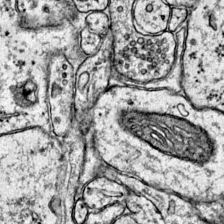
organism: Mouse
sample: Primary visual cortex